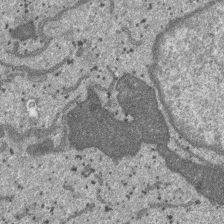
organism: Human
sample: Lung epithelial cells infected with SARS-CoV-2